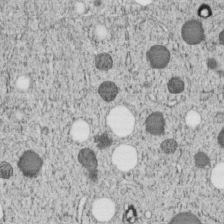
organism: C. elegans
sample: C. elegans embryo early stage